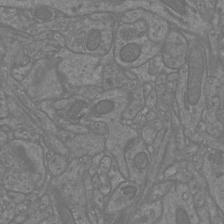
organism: Mouse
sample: Cortical neurons